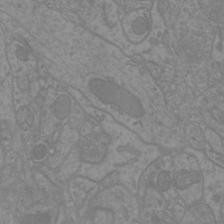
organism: Mouse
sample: Cortical neurons